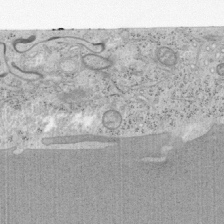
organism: Human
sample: HeLa cells